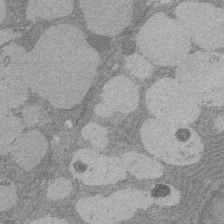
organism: Rat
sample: Salivary granule